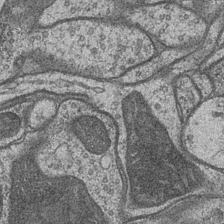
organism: Drosophila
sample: Optic medulla